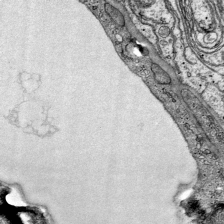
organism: Mouse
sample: Visual Cortex